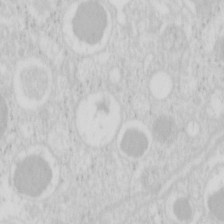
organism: Mouse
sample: Pancreas